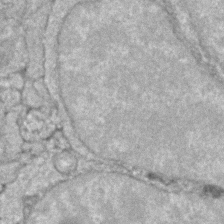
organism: Zebrafish